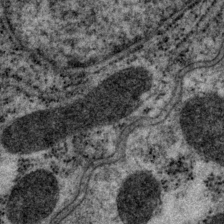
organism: P. pacificus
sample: Pharynx